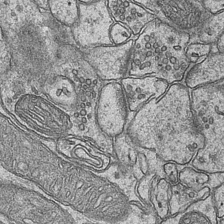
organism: Mouse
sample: CA1 Hippocampus